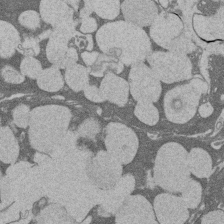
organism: Rat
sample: Salivary granule